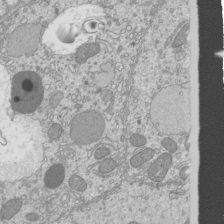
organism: Mouse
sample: Cilia; mouse epididymis